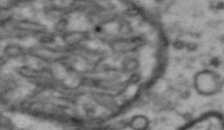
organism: Drosophila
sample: Brain